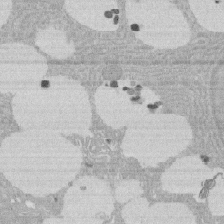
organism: Rat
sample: Salivary granule